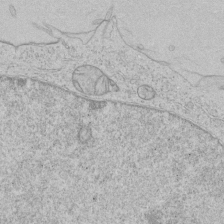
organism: Human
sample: Mitochondria in HCT116 cells